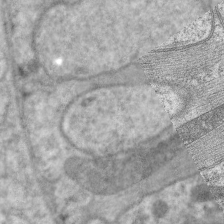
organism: C. elegans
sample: Pharynx